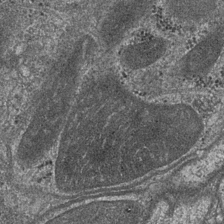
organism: Drosophila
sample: Optic medulla